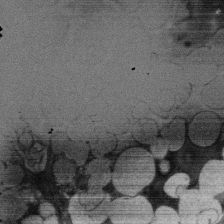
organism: Rat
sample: Salivary granule